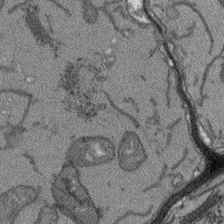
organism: Arabidopsis thaliana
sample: Root tip